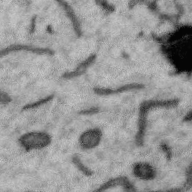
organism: Zebra finch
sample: Brain